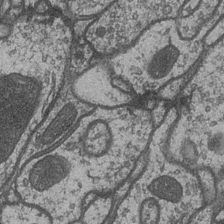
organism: Drosophila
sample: Optic medulla